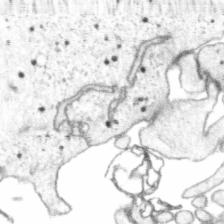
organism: Human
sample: HeLa cells